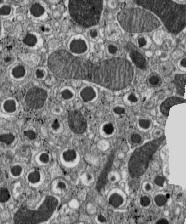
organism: C57BL Mouse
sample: Pancreatic islet